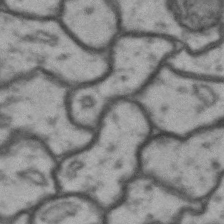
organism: Drosophila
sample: Brain